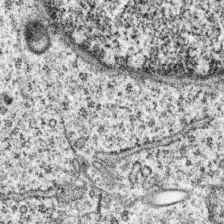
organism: Human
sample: HeLa cells